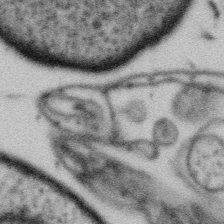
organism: Gemmata obscuriglobus